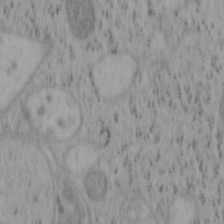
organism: Mouse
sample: OT-I killer T cells with ID8 ovarian cancer cells